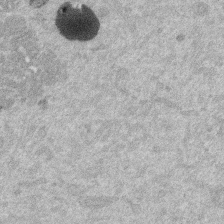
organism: Mouse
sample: Dividing mouse embryo 1 cell stage